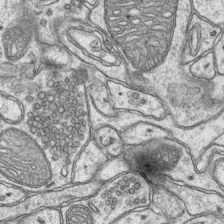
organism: Mouse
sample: CA1 Hippocampus